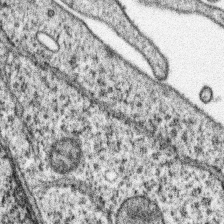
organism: Human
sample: HeLa cells